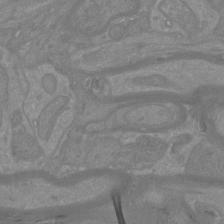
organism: Mouse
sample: Cortical neurons